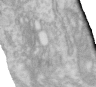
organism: Human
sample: Centriole in RPE cells